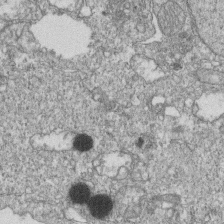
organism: Human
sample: HeLa cell HIV synapse